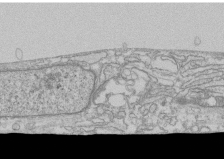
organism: Human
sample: CRL-1474